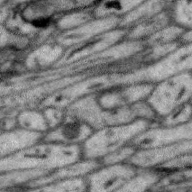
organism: Zebra finch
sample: Brain